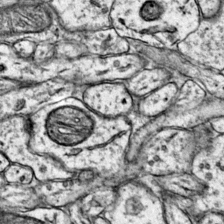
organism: Mouse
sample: Primary visual cortex